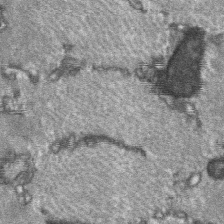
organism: C57BL Mouse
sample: Soleus